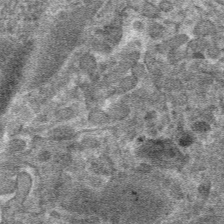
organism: Mouse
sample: Mouse hepatocytes